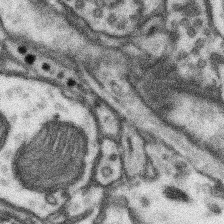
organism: Mouse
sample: Somatosensory cortex neuropil